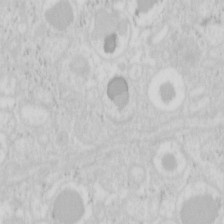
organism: Mouse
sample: Pancreas